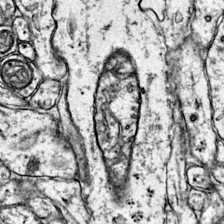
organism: Mouse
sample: Primary visual cortex